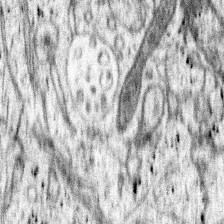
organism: Human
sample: HeLa cells